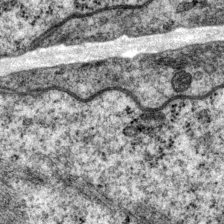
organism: P. pacificus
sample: Pharynx